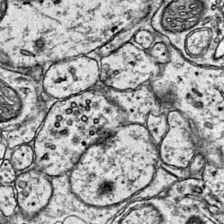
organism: Mouse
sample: Primary visual cortex